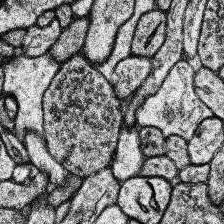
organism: Human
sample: Temporal Lobe